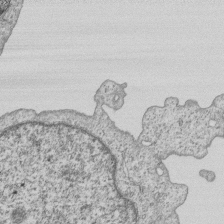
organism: Human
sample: MDA-MB-231 cells